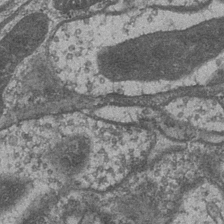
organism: Drosophila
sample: Optic medulla